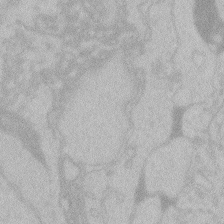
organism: Zebrafish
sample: Macrophage infected with Toxoplasma gondii